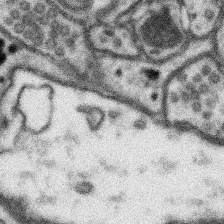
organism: Mouse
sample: Somatosensory cortex neuropil